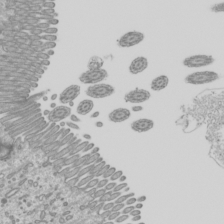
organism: Mouse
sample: Cilia; mouse epididymis